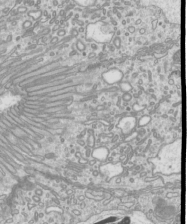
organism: Mouse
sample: Cilia; mouse epididymis